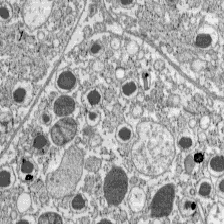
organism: C57BL Mouse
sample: Pancreatic islet